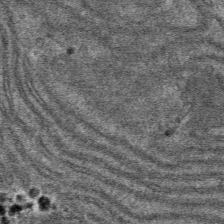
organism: Mouse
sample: Mouse hepatocytes